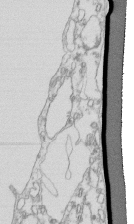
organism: Mouse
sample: Macrophages